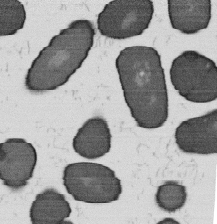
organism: B. subtilis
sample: Bacterial spore